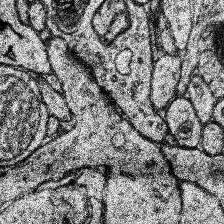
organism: Human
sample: Temporal Lobe